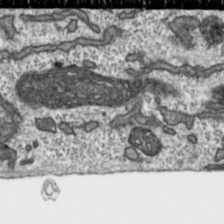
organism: Toxoplasma gondii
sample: Parasites in a vacuole inside a host cell